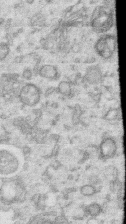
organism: Human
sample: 1205lu cells